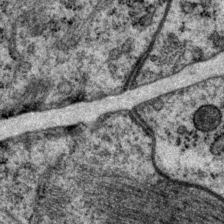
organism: P. pacificus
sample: Pharynx